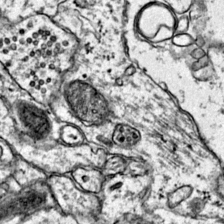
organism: Mouse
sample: Primary visual cortex